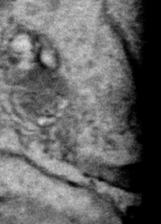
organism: Human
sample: Mitochondria in HCT116 cells